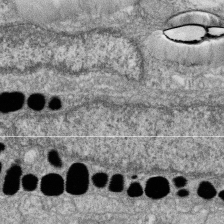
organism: Zebrafish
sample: Cilia; retinal pigment epithelium